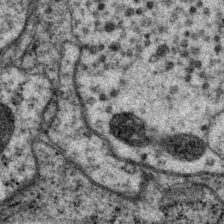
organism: P. pacificus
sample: Pharynx